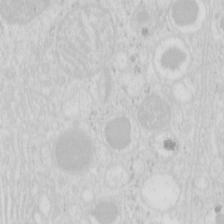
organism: Mouse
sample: Pancreas